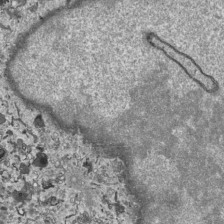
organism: Human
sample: Mitochondria in HCT116 cells